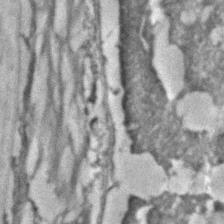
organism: C. elegans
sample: C. elegans embryo